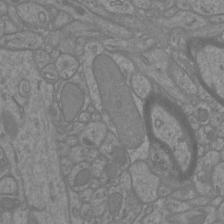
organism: Mouse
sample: Cortical neurons